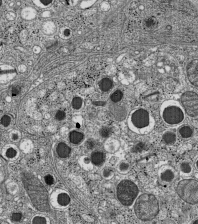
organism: C57BL Mouse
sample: Pancreatic islet